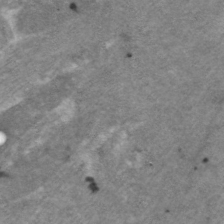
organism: C. elegans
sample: Pharynx